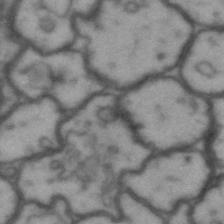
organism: Drosophila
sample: Brain